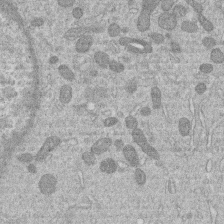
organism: Human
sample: Macrophage cells